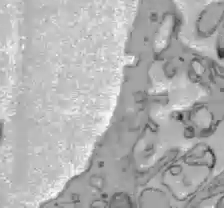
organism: C57BL Mouse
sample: Liver